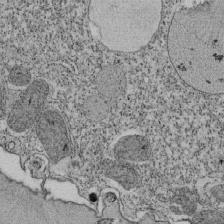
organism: Tetrahymena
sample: Cilia in tetrahymena